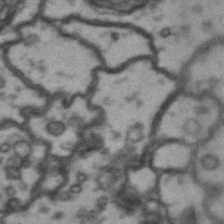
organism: Drosophila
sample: Brain